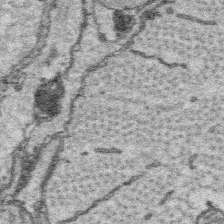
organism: Platynereis dumerilii